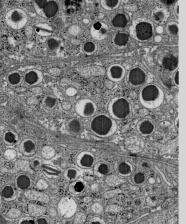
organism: C57BL Mouse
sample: Pancreatic islet